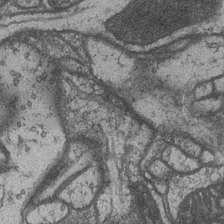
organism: Drosophila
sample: Optic medulla